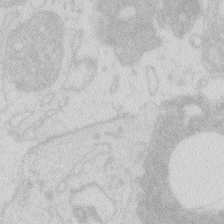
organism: Zebrafish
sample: Macrophage